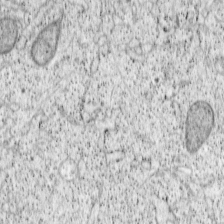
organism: African green monkey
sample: COS-7 cells